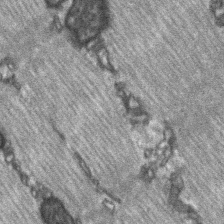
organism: C57BL Mouse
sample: Soleus